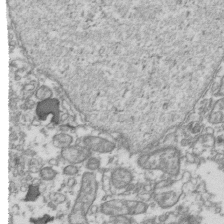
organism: Human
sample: Activated Jurkat CD4+ T cells